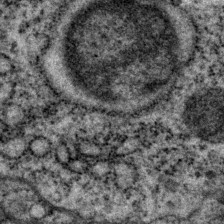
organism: P. pacificus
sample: Pharynx